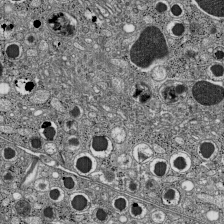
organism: C57BL Mouse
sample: Pancreatic islet